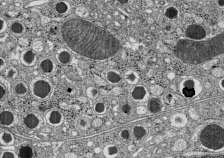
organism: C57BL Mouse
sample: Pancreatic islet